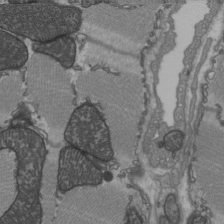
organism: C57BL Mouse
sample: Heart